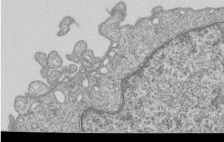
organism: Human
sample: MDA-MB-231 cells